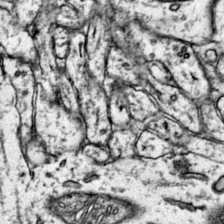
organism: Mouse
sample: Primary visual cortex